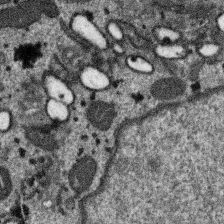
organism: Human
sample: Lung epithelial cells infected with SARS-CoV-2